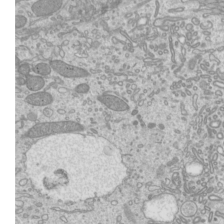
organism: Mouse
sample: Cilia; mouse epididymis